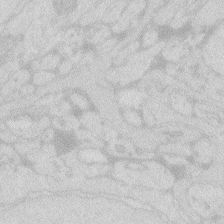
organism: Zebrafish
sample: Macrophage